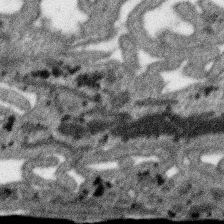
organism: Human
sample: Lung epithelial cells infected with SARS-CoV-2